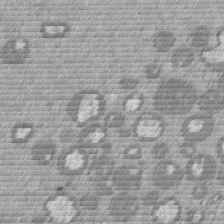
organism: Mouse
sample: Dividing mouse embryo 1 cell stage